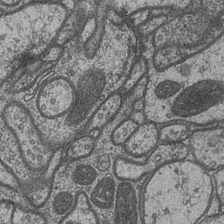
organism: Drosophila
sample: Optic medulla